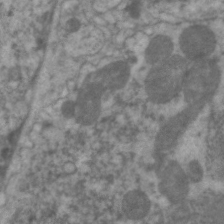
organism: C. elegans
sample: Pharynx